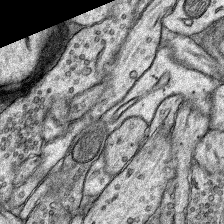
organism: Rat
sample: Hippocampus